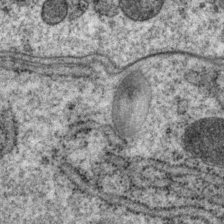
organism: P. pacificus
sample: Pharynx